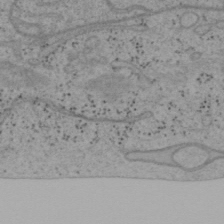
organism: Human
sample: HeLa cells